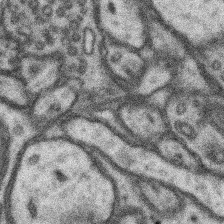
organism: Mouse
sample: Somatosensory cortex neuropil